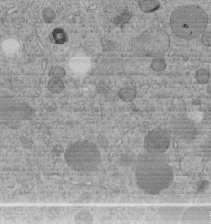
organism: C. elegans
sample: C. elegans embryo early stage